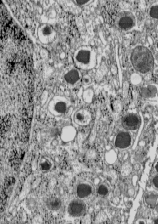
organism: C57BL Mouse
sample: Pancreatic islet